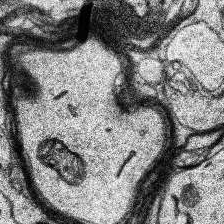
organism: Human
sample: Temporal Lobe